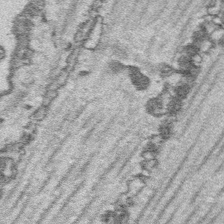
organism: Platynereis dumerilii